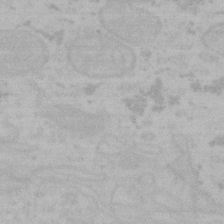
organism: Mouse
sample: Choroid plexus